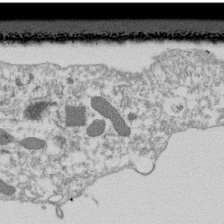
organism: Dictyostelium discoideum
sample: Dictyostelium multivesicular bodies